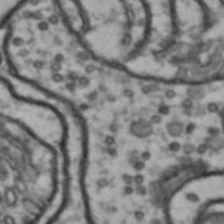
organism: Drosophila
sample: Brain